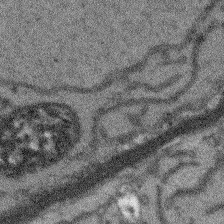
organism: Arabidopsis thaliana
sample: Root tip